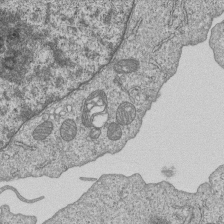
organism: Human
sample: MDA-MB-231 cells